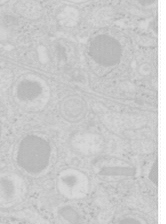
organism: Mouse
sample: Pancreas